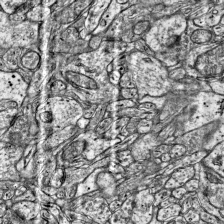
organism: Mouse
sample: Visual Cortex